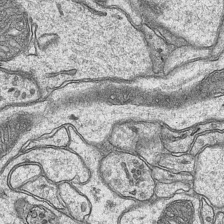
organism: Mouse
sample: CA1 Hippocampus